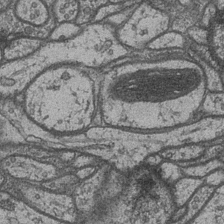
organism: Drosophila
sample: Optic medulla